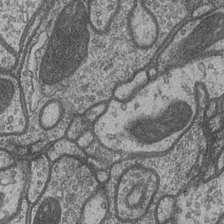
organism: Drosophila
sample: Optic medulla